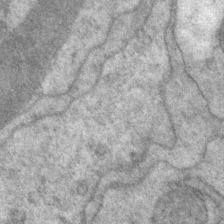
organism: P. pacificus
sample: Pharynx